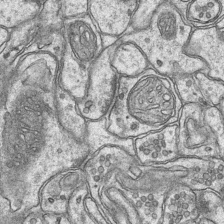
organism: Mouse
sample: CA1 Hippocampus